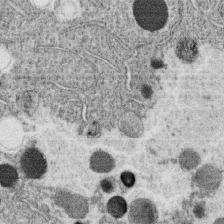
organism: C. elegans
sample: C. elegans oocyte; sperm cells